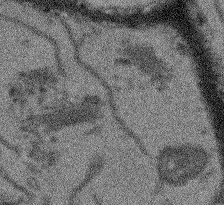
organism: Arabidopsis thaliana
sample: Root tip